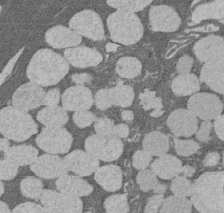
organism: Rat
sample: Salivary granule